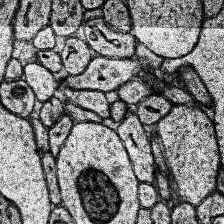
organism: Human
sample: Temporal Lobe